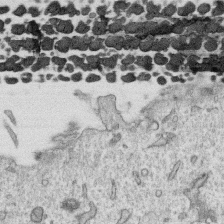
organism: Human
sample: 1205lu cells